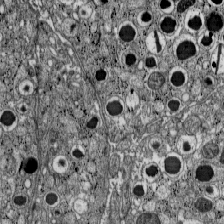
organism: C57BL Mouse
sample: Pancreatic islet